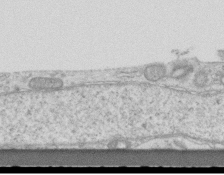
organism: Mouse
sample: Centriole in ependymal cells